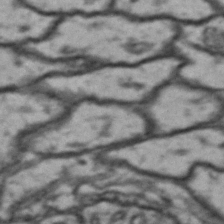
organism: Drosophila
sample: Brain